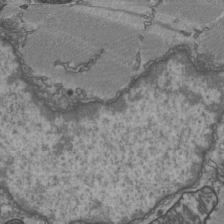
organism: C57BL Mouse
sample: Heart